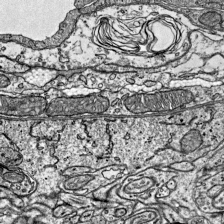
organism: Mouse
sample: Visual Cortex